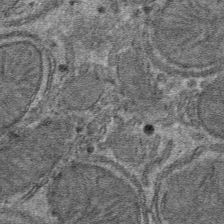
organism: Mouse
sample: Mouse hepatocytes